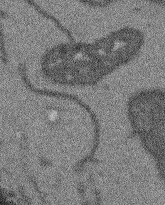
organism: Arabidopsis thaliana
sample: Root tip